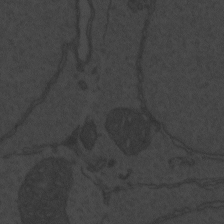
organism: Zebrafish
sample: Macrophage infected with Toxoplasma gondii